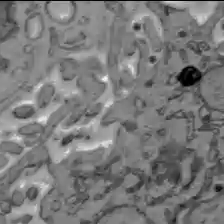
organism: C57BL Mouse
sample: Liver